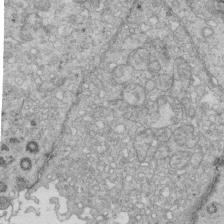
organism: Mouse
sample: Multiciliated cells